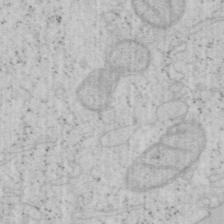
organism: Human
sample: HeLa cells